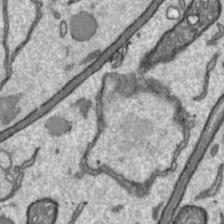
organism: Toxoplasma gondii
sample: Parasites in a vacuole inside a host cell